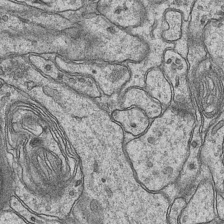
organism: Mouse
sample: CA1 Hippocampus